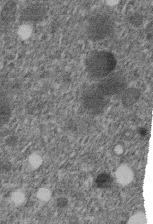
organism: C. elegans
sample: C. elegans embryo early stage